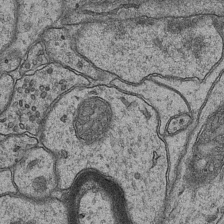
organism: Mouse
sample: CA1 Hippocampus